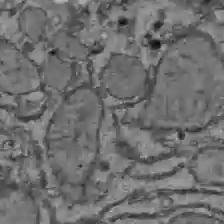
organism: C57BL Mouse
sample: Liver